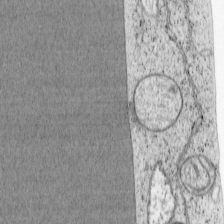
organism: African green monkey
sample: COS-7 cells